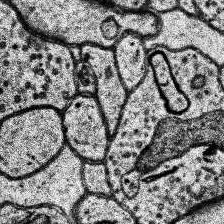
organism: Human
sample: Temporal Lobe